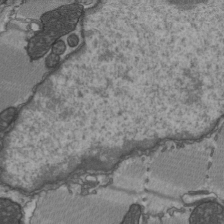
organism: C57BL Mouse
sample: Heart